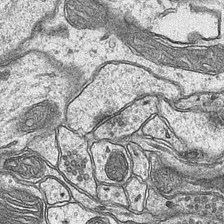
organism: Mouse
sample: CA1 Hippocampus